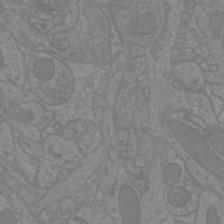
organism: Mouse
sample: Cortical neurons